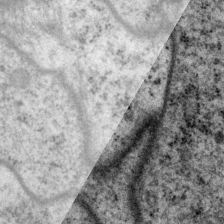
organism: P. pacificus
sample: Pharynx